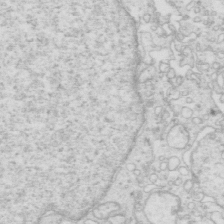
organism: Mouse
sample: Multiciliated cells